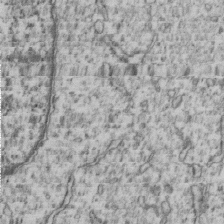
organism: Human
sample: MDA-MB-231 cells